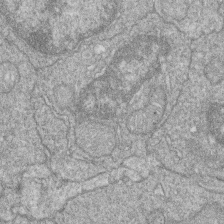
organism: Zebrafish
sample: Cilia; retinal pigment epithelium